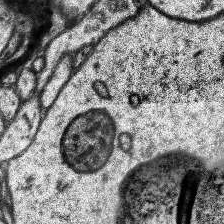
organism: Human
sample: Temporal Lobe